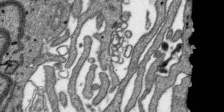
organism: Human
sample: Lung epithelial cells, uninfected (mock) control